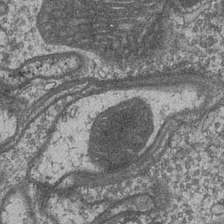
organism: Drosophila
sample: Optic medulla